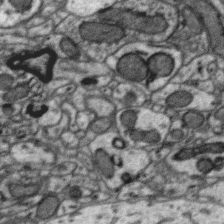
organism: Zebra finch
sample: Brain